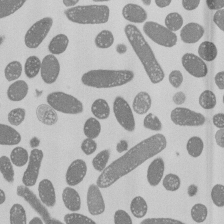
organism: E. coli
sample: Bacterial nucleoid